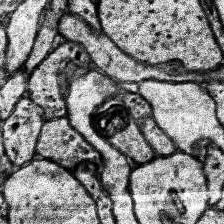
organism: Human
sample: Temporal Lobe